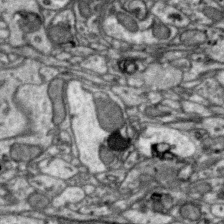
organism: Zebra finch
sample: Brain